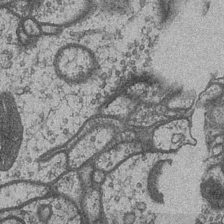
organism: Drosophila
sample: Optic medulla